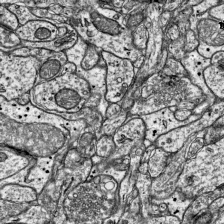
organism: Mouse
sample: Visual Cortex